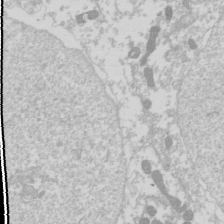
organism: Drosophila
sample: Cell division; meiosis; drosophila spermatocytes